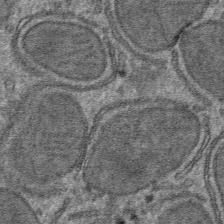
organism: Mouse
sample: Mouse hepatocytes